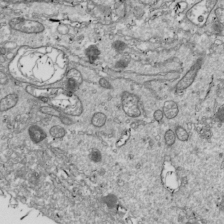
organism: Drosophila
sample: Cell division; meiosis; drosophila spermatocytes